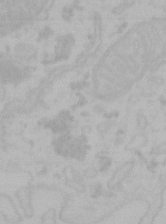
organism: Mouse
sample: Choroid plexus